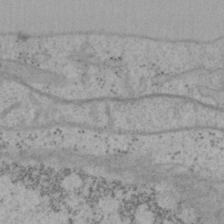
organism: Human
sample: HeLa cells